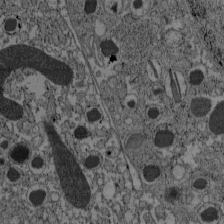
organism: C57BL Mouse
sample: Pancreatic islet